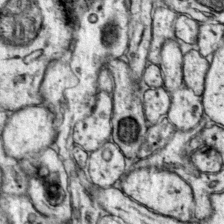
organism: Mouse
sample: Primary visual cortex